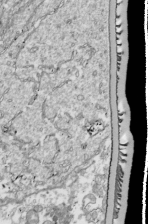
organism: Drosophila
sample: Cell division; meiosis; drosophila spermatocytes